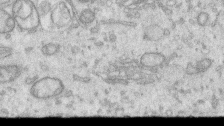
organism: Human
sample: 1205lu cells